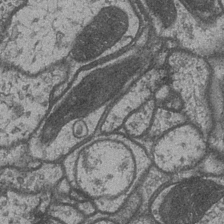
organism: Drosophila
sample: Optic medulla